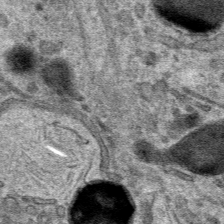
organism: Mouse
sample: Mouse hepatocytes